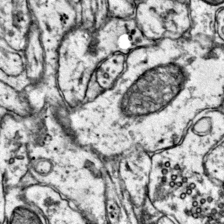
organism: Mouse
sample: Primary visual cortex